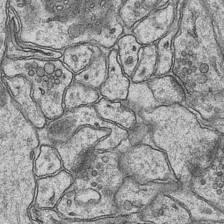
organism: Mouse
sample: CA1 Hippocampus